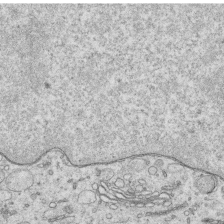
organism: Human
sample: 1205lu cells